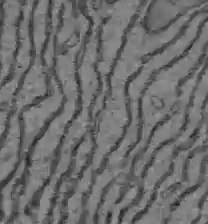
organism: C57BL Mouse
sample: Liver